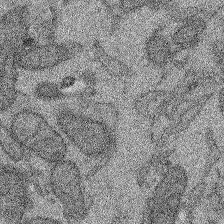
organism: Human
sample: HeLa cells